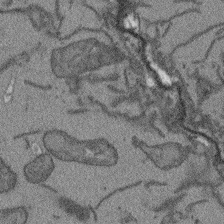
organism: Arabidopsis thaliana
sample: Root tip